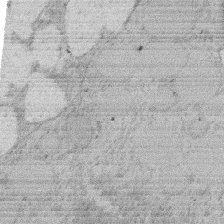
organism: Rat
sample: Salivary granule